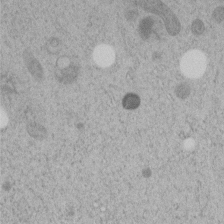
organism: C. elegans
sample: C. elegans embryo early stage